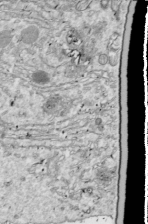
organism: Drosophila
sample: Cell division; meiosis; drosophila spermatocytes